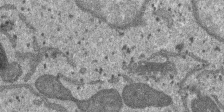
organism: Human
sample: Lung epithelial cells infected with SARS-CoV-2